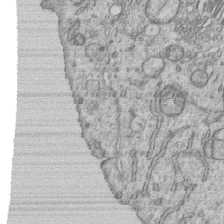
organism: Human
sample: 1205lu cells